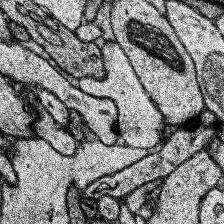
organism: Human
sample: Temporal Lobe